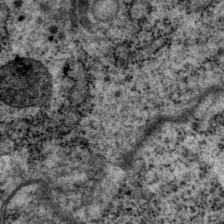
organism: P. pacificus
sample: Pharynx